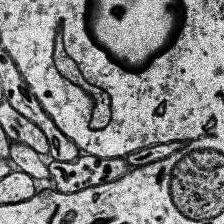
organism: Human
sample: Temporal Lobe